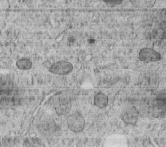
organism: C. elegans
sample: C. elegans embryo early stage